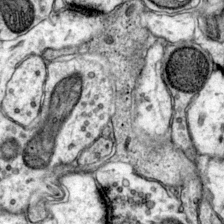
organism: Mouse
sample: Primary visual cortex